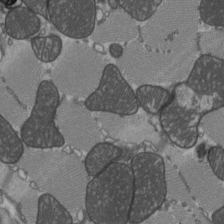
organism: C57BL Mouse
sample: Heart